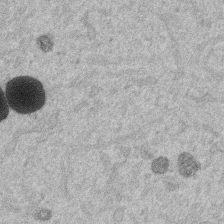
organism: Mouse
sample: Dividing mouse embryo 1 cell stage